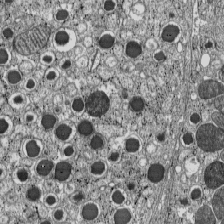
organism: C57BL Mouse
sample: Pancreatic islet